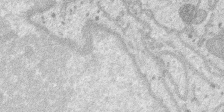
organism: Human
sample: Lung epithelial cells infected with SARS-CoV-2